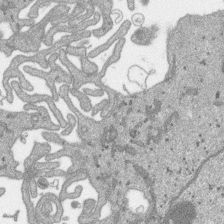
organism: Human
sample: Lung epithelial cells infected with SARS-CoV-2